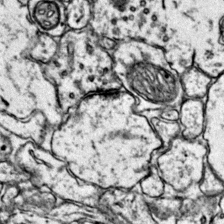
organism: Mouse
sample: Primary visual cortex